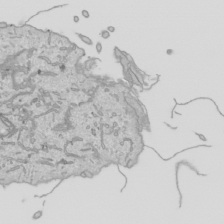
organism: Human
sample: Mitochondria in HCT116 cells